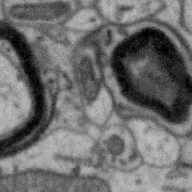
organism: Zebra finch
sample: Brain